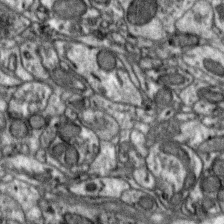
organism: Zebra finch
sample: Brain